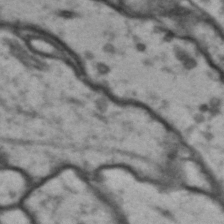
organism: Drosophila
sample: Brain